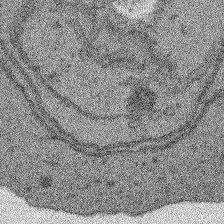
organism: Human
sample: HeLa cells